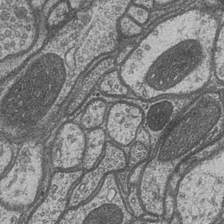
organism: Drosophila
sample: Optic medulla